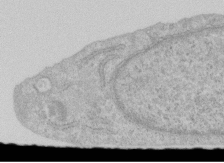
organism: Human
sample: Centriole in RPE cells